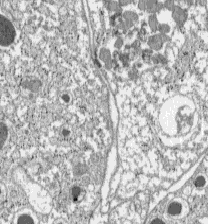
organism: C57BL Mouse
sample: Pancreatic islet